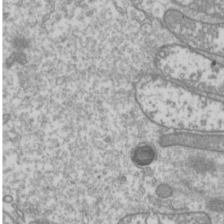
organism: Drosophila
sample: Cell division; meiosis; drosophila spermatocytes